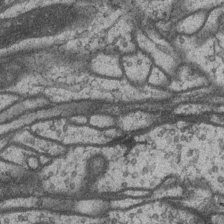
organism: Drosophila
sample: Optic medulla